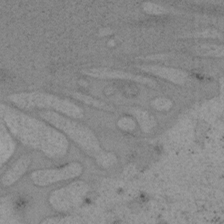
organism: Mouse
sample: OT-I killer T cells with ID8 ovarian cancer cells